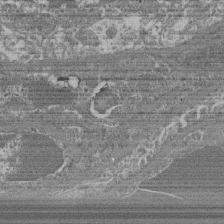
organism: Mouse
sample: Glomerulus